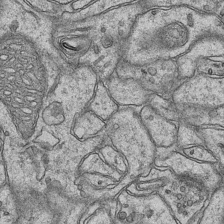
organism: Mouse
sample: CA1 Hippocampus